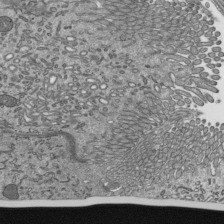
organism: Mouse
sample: Mouse epididymis efferent ductule cilia